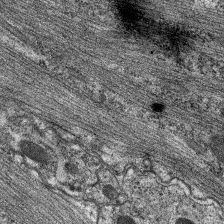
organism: C. elegans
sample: Pharynx